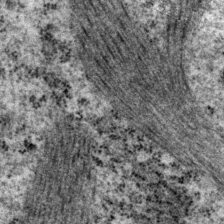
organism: P. pacificus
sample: Pharynx